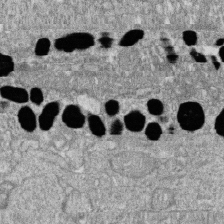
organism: Zebrafish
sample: Cilia; retinal pigment epithelium